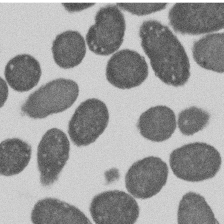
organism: E. coli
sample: Bacterial nucleoid